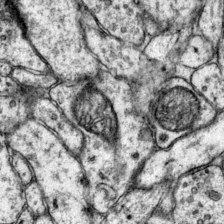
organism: Mouse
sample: Primary visual cortex